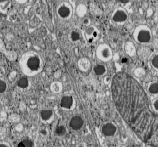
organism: C57BL Mouse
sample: Pancreatic islet